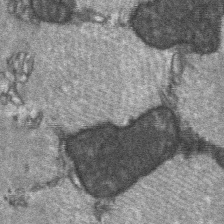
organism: C57BL Mouse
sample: Soleus